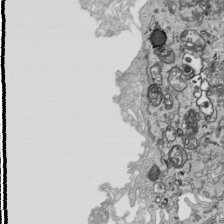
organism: Human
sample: Mitochondria in HCT116 cells